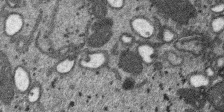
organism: Human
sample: Lung epithelial cells infected with SARS-CoV-2